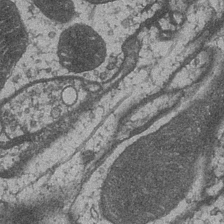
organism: Drosophila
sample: Optic medulla